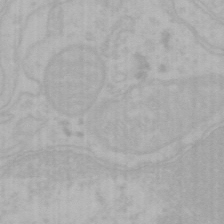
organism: Mouse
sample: Choroid plexus